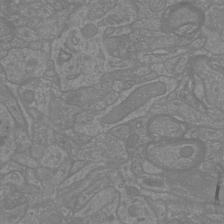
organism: Mouse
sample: Cortical neurons